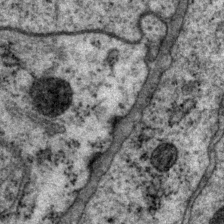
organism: P. pacificus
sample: Pharynx